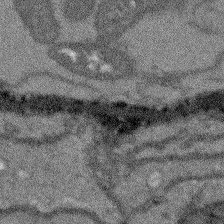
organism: Arabidopsis thaliana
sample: Root tip